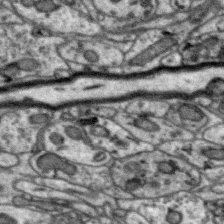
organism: Zebra finch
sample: Brain